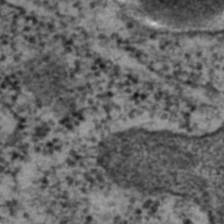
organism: C. elegans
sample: C. elegans embryo